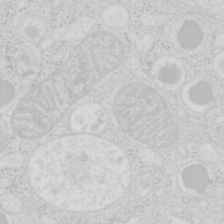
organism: Mouse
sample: Pancreas